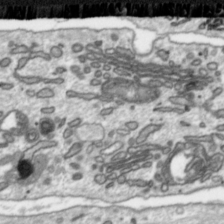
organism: Toxoplasma gondii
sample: Parasites in a vacuole inside a host cell